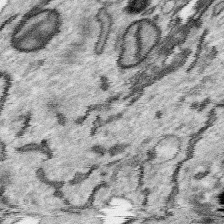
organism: Human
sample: HeLa cells